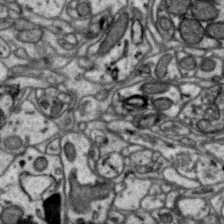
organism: Zebra finch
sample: Brain